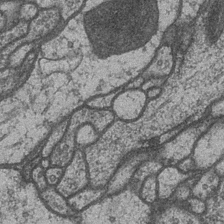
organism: Drosophila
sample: Optic medulla